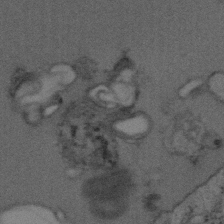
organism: Human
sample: HeLa cells